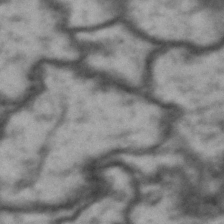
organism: Drosophila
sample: Brain